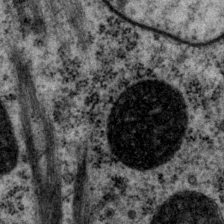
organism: P. pacificus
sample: Pharynx